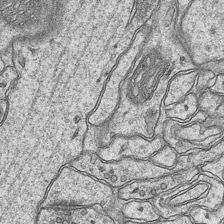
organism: Mouse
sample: CA1 Hippocampus